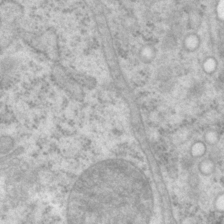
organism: P. pacificus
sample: Pharynx